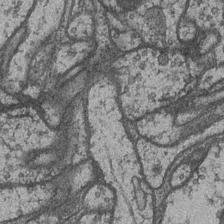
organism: Drosophila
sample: Optic medulla